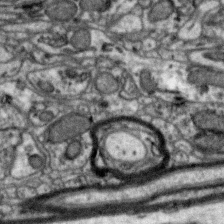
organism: Zebra finch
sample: Brain